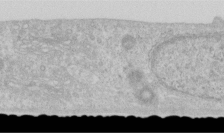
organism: Human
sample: Centriole in RPE cells